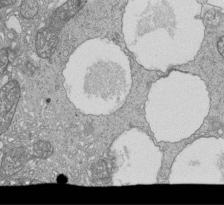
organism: Tetrahymena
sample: Cilia in tetrahymena